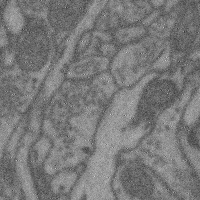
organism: Mouse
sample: Cerebral cortex